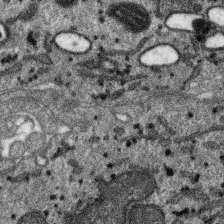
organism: Human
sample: Lung epithelial cells infected with SARS-CoV-2